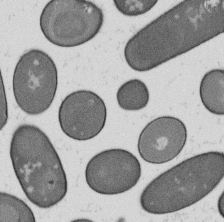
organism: B. subtilis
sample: Bacterial spore